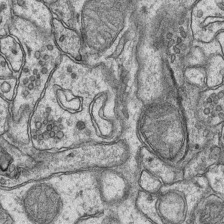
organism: Mouse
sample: CA1 Hippocampus